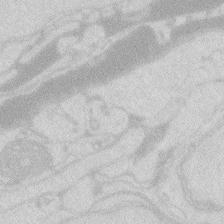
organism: Zebrafish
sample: Macrophage